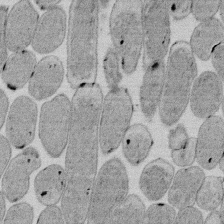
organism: E. coli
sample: Bacterial nucleoid